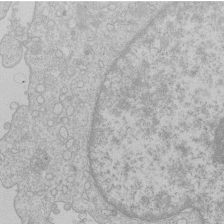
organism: Human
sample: Macrophage cells